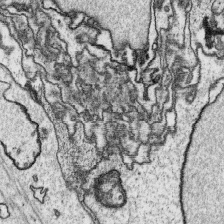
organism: Platynereis dumerilii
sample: Parapodia